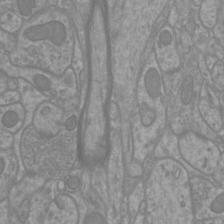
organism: Mouse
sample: Cortical neurons